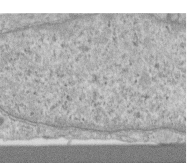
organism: Human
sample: Centriole in RPE cells